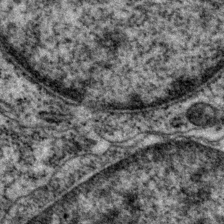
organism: P. pacificus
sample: Pharynx